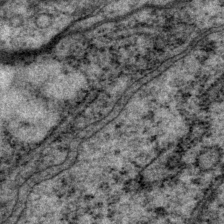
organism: P. pacificus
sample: Pharynx